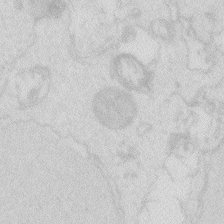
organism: Zebrafish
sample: Macrophage